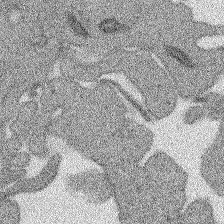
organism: Human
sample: HeLa cells